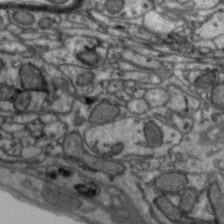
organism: Zebra finch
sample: Brain